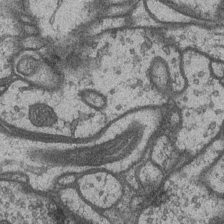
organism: Drosophila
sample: Optic medulla